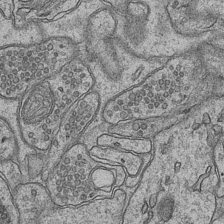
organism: Mouse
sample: CA1 Hippocampus